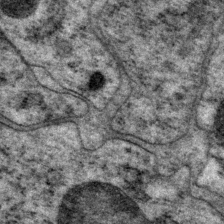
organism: P. pacificus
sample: Pharynx